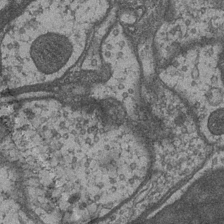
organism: Drosophila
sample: Optic medulla